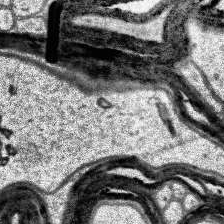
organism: Human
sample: Temporal Lobe